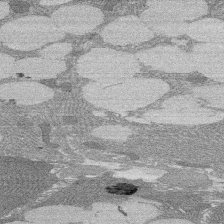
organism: Rat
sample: Salivary granule